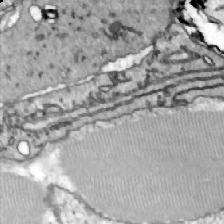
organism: Zebrafish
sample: Actinotrichia fibers